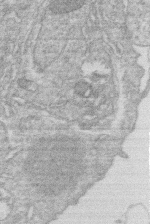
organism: Human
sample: Macrophage cells